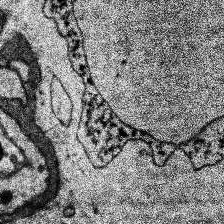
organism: Human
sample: Temporal Lobe